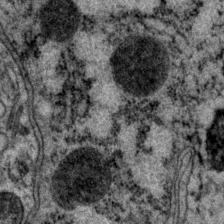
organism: P. pacificus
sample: Pharynx